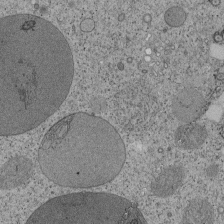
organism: Tetrahymena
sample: Cilia in tetrahymena